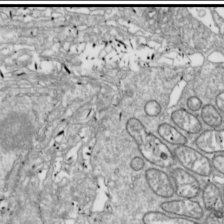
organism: Drosophila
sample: Cell division; meiosis; drosophila spermatocytes